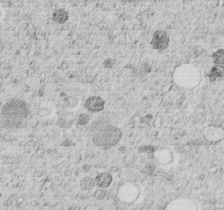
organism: C. elegans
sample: C. elegans embryo early stage